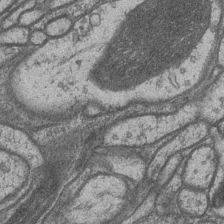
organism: Drosophila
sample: Optic medulla